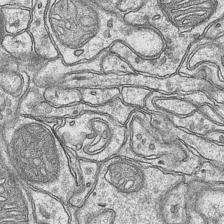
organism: Mouse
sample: CA1 Hippocampus